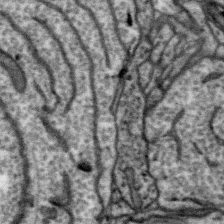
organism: Zebra finch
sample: Brain